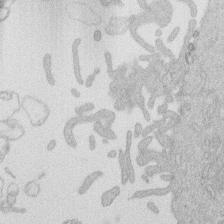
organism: Human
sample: Macrophage cells